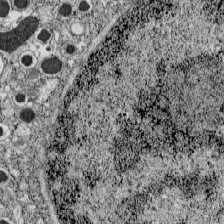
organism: C57BL Mouse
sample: Pancreatic islet